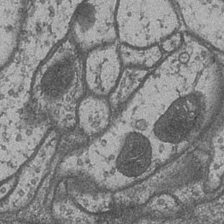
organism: Drosophila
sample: Optic medulla